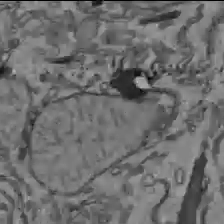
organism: C57BL Mouse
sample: Liver